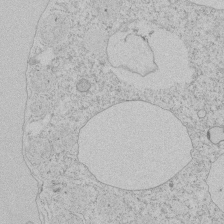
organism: Tetrahymena